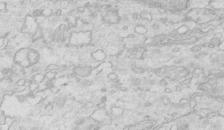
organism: Mouse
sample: Multiciliated cells